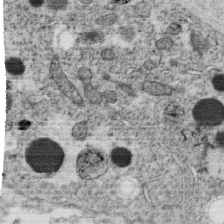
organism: C. elegans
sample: C. elegans oocyte; sperm cells